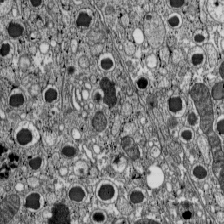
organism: C57BL Mouse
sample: Pancreatic islet